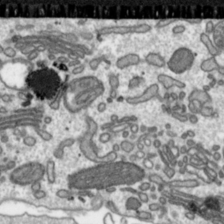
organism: Toxoplasma gondii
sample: Parasites in a vacuole inside a host cell